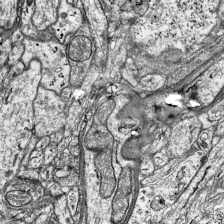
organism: Mouse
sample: Visual Cortex